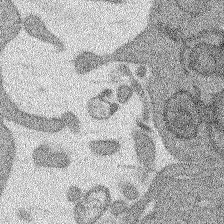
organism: Human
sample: HeLa cells